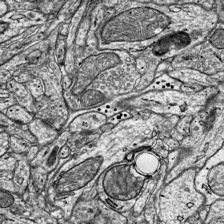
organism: Mouse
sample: Visual Cortex